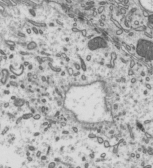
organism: Mouse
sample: Mouse epididymis efferent ductule cilia